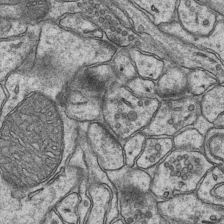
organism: Mouse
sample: CA1 Hippocampus